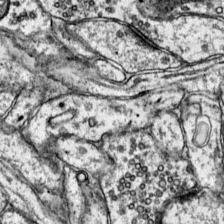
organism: Mouse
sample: Primary visual cortex